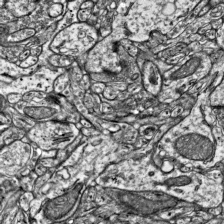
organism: Mouse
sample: Visual Cortex